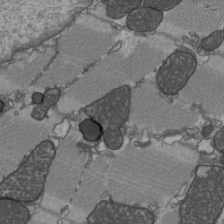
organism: C57BL Mouse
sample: Heart